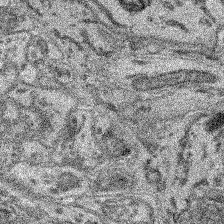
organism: Mouse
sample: Retina